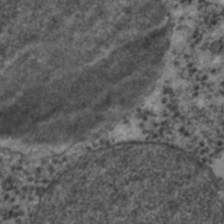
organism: C. elegans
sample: C. elegans embryo